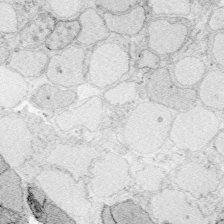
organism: Zebrafish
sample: Whole-Brain